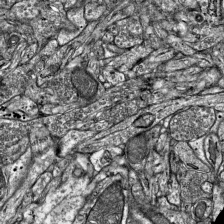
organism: Mouse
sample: Visual Cortex